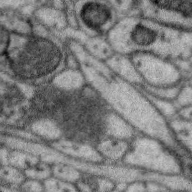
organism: Zebra finch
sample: Brain